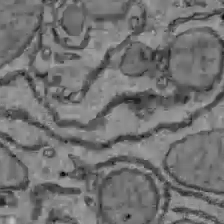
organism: C57BL Mouse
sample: Liver